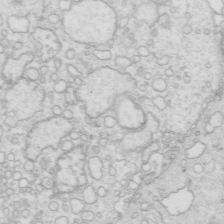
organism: Mouse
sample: Multiciliated cells